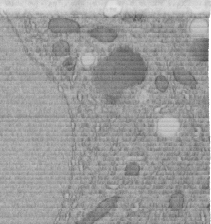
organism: C. elegans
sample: C. elegans embryo early stage